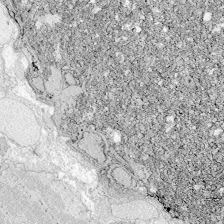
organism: Zebrafish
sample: Whole-Brain